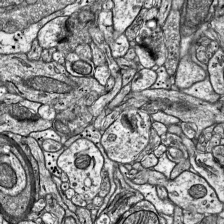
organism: Mouse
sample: Visual Cortex